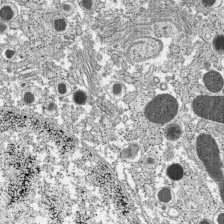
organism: C57BL Mouse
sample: Pancreatic islet